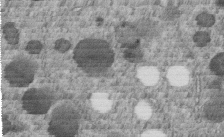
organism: C. elegans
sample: C. elegans embryo early stage